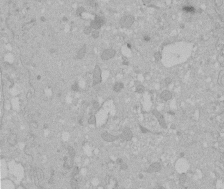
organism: Human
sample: Melanocyte Keratinocyte synapse skin construct